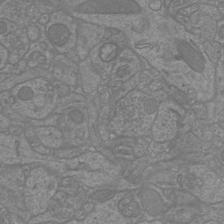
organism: Mouse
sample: Cortical neurons